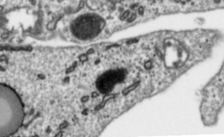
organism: Toxoplasma gondii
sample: Parasites in a vacuole inside a host cell